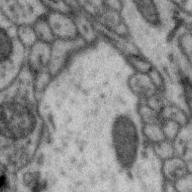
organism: Zebra finch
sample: Brain